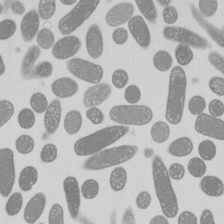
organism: E. coli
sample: Bacterial nucleoid